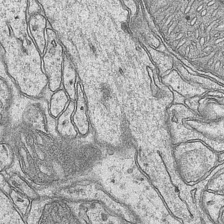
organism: Mouse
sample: CA1 Hippocampus